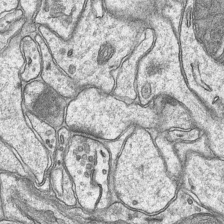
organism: Mouse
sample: CA1 Hippocampus